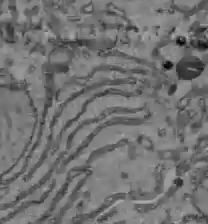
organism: C57BL Mouse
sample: Liver